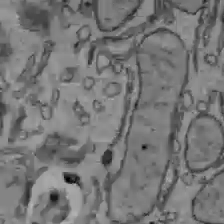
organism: C57BL Mouse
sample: Liver